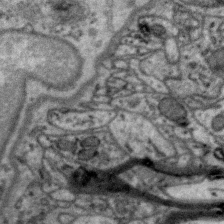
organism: Zebra finch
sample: Brain